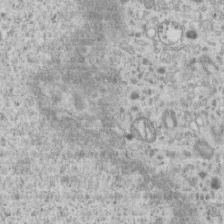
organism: Mouse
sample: Centriole in ependymal cells